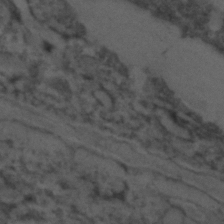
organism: C. elegans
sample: C. elegans embryo